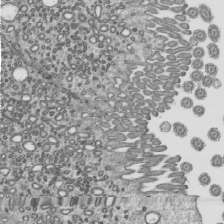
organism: Mouse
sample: Mouse epididymis efferent ductule cilia